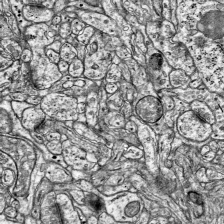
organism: Mouse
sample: Visual Cortex